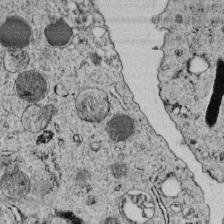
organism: C. elegans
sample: C. elegans embryo early stage